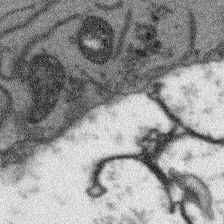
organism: Arabidopsis thaliana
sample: Root tip